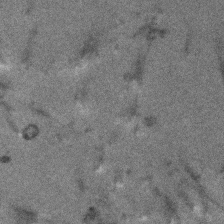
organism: Human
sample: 1205lu cells